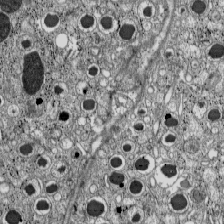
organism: C57BL Mouse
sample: Pancreatic islet